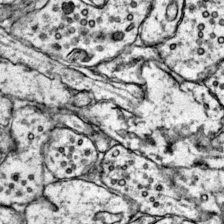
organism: Mouse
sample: Primary visual cortex